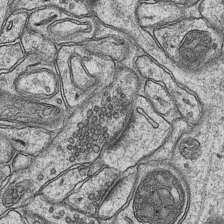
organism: Mouse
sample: CA1 Hippocampus